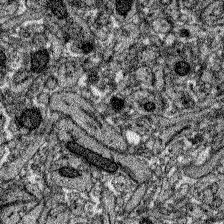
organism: Zebrafish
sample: Larval olfactory bulb